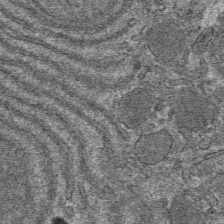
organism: Mouse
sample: Mouse hepatocytes